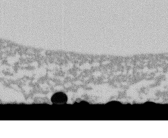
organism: C. elegans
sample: C. elegans embryo early stage